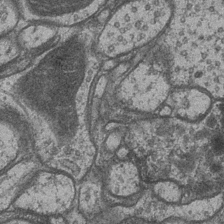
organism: Drosophila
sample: Optic medulla